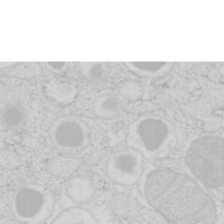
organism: Mouse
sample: Pancreas